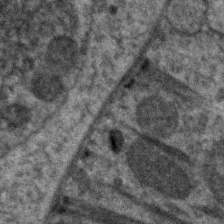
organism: C. elegans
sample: Pharynx